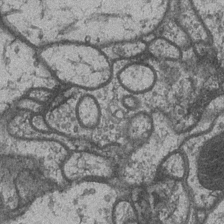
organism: Drosophila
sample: Optic medulla